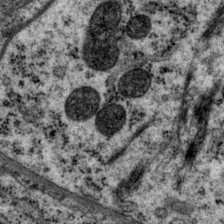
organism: P. pacificus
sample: Pharynx